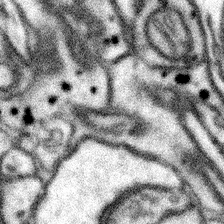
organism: Mouse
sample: Somatosensory cortex neuropil